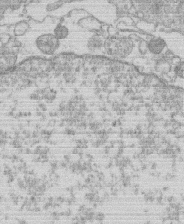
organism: Human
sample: Macrophage cells